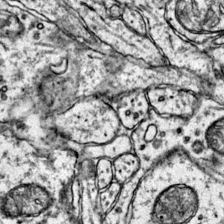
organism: Mouse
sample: Primary visual cortex